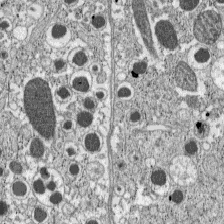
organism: C57BL Mouse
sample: Pancreatic islet